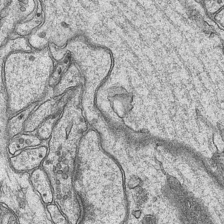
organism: Mouse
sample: CA1 Hippocampus